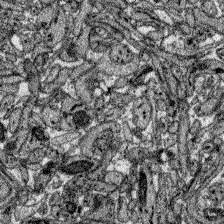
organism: Zebrafish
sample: Larval olfactory bulb